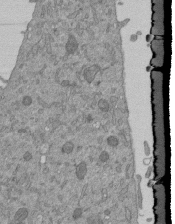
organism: Mouse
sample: ED-1 cell nuclei; centrioles